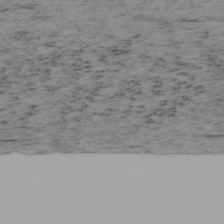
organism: Mouse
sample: OT-I killer T cells with ID8 ovarian cancer cells